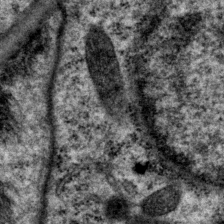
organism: P. pacificus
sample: Pharynx